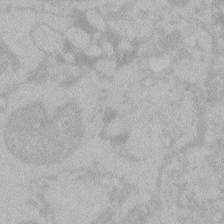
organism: Zebrafish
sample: Macrophage infected with Toxoplasma gondii